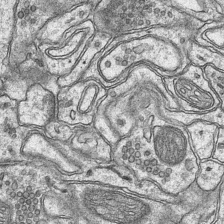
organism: Mouse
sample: CA1 Hippocampus